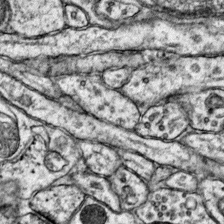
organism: Mouse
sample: Primary visual cortex